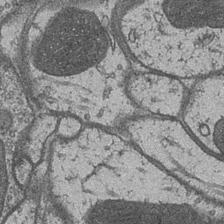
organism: Drosophila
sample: Optic medulla